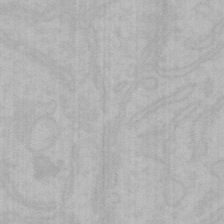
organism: Mouse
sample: Choroid plexus